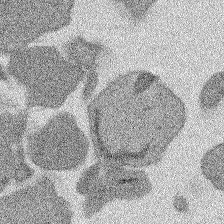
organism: Human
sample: HeLa cells